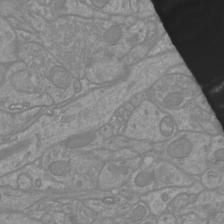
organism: Mouse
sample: Cortical neurons